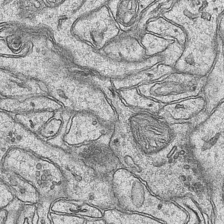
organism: Mouse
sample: CA1 Hippocampus